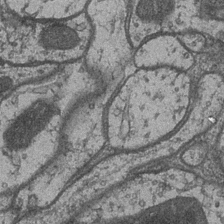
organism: Drosophila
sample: Optic medulla